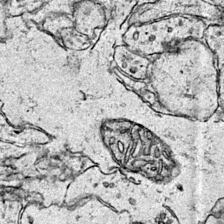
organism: Mouse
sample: Primary visual cortex